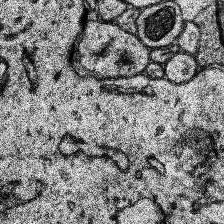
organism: Human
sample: Temporal Lobe